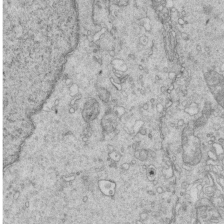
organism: Mouse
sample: Multiciliated cells